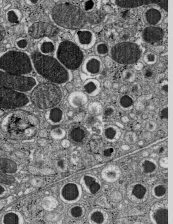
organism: C57BL Mouse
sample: Pancreatic islet